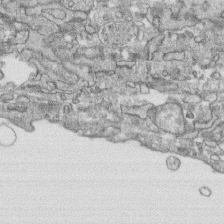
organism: Human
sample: CRL-1474